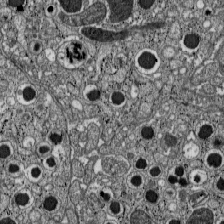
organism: C57BL Mouse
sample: Pancreatic islet